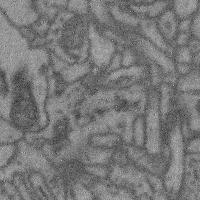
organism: Mouse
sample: Cerebral cortex